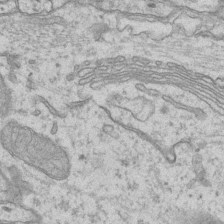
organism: Mouse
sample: CA1 Hippocampus